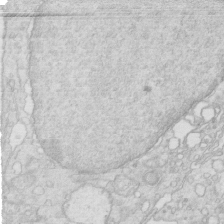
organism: Mouse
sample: Multiciliated cells